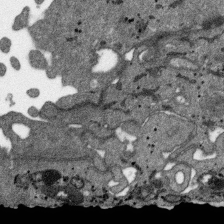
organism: Human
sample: Lung epithelial cells, uninfected (mock) control